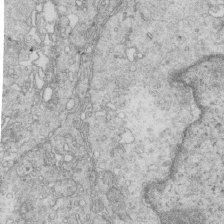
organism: Mouse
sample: Multiciliated cells